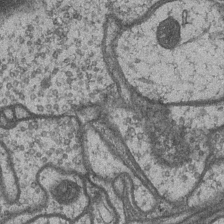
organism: Drosophila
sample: Optic medulla